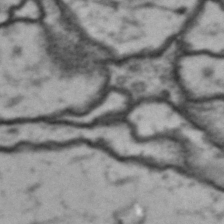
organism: Drosophila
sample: Brain